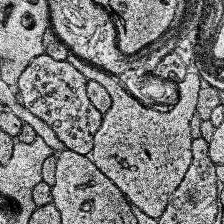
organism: Human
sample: Temporal Lobe